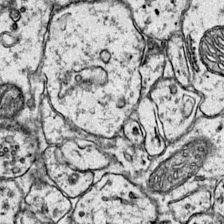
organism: Mouse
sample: Primary visual cortex